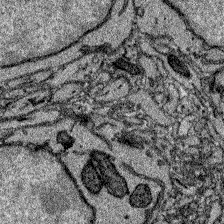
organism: Zebrafish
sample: Larval olfactory bulb